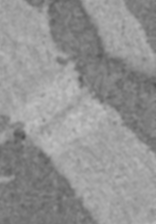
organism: C57BL Mouse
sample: Heart